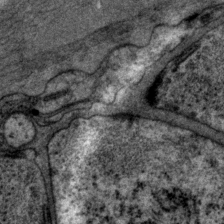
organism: P. pacificus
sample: Pharynx